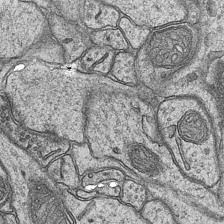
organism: Mouse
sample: CA1 Hippocampus